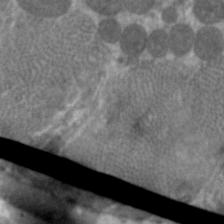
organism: C. elegans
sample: Pharynx